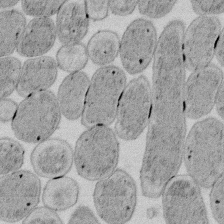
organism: E. coli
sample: Bacterial nucleoid